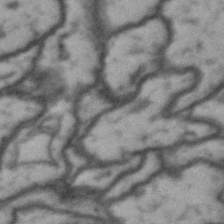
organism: Drosophila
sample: Brain